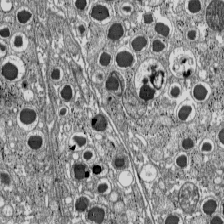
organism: C57BL Mouse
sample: Pancreatic islet